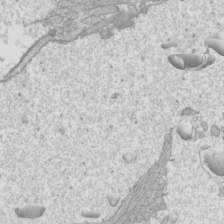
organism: Mouse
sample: Cilia; mouse epididymis